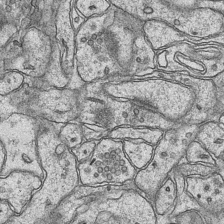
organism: Mouse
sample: CA1 Hippocampus